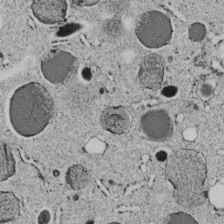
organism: C. elegans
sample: C. elegans embryo early stage